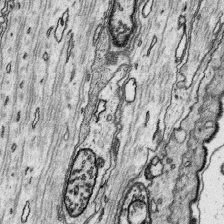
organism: Platynereis dumerilii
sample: Parapodia